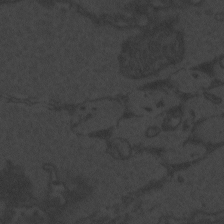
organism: Zebrafish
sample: Macrophage infected with Toxoplasma gondii